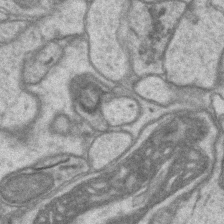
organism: Mouse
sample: CA1 Hippocampus